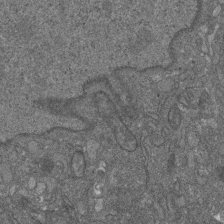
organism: Drosophila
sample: Nephrocyte